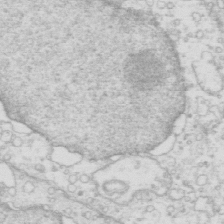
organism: Mouse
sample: Multiciliated cells